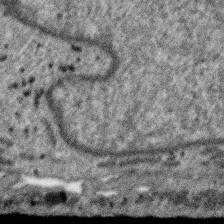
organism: Human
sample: Lung epithelial cells infected with SARS-CoV-2